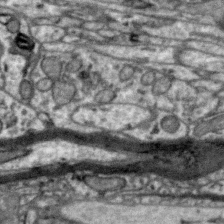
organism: Zebra finch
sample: Brain